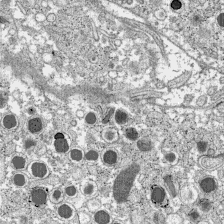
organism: C57BL Mouse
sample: Pancreatic islet